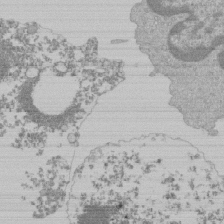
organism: Mouse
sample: Activated Pmel transgenic CD8+ T Cells